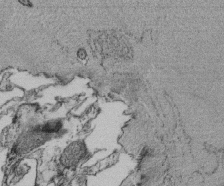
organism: Tetrahymena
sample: Cilia in tetrahymena